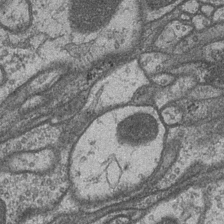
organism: Drosophila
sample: Optic medulla